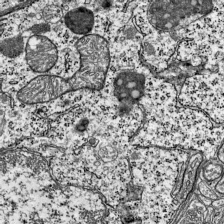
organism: Mouse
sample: Visual Cortex